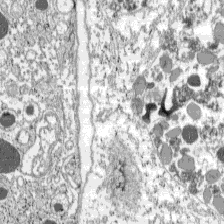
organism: C57BL Mouse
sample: Pancreatic islet